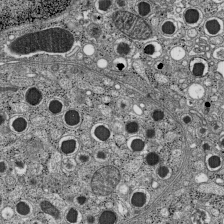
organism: C57BL Mouse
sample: Pancreatic islet